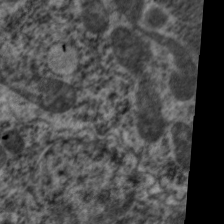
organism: C. elegans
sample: Pharynx